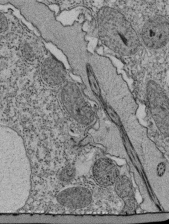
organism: Tetrahymena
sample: Cilia in tetrahymena